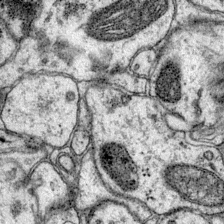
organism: Mouse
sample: Primary visual cortex